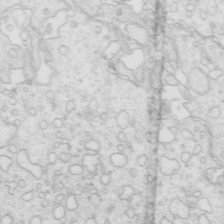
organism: Mouse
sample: Multiciliated cells